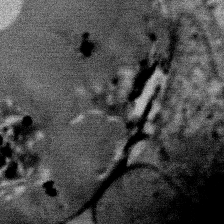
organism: Mouse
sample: Mouse Salivary gland